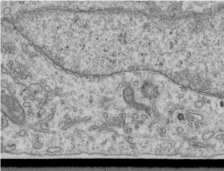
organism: Human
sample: Centriole in RPE cells